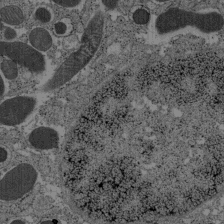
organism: C57BL Mouse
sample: Pancreatic islet